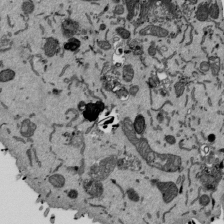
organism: Mouse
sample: ED-1 cell nuclei; centrioles